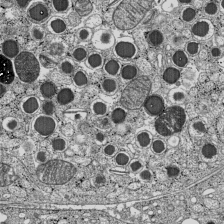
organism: C57BL Mouse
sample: Pancreatic islet